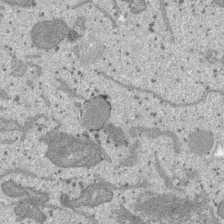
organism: Human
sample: Lung epithelial cells infected with SARS-CoV-2